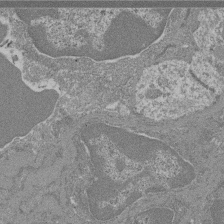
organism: Mouse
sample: Glomerulus